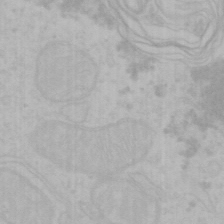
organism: Mouse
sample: Choroid plexus